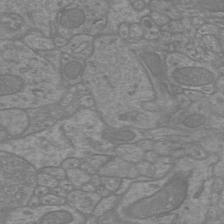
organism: Mouse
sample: Cortical neurons